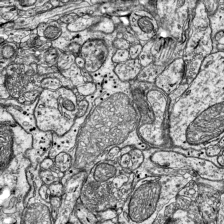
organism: Mouse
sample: Visual Cortex